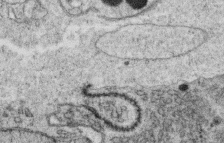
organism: C. elegans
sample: C. elegans oocyte; sperm cells